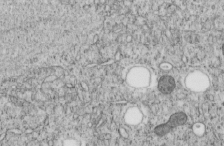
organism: C. elegans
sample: C. elegans embryo early stage